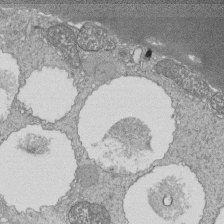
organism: Tetrahymena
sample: Cilia in tetrahymena